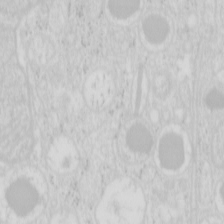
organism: Mouse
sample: Pancreas